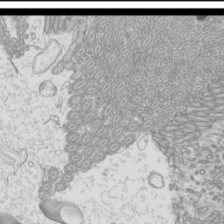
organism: Mouse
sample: Cilia; mouse epididymis